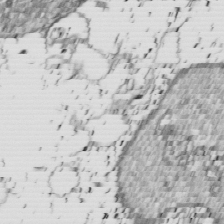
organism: Drosophila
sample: Cell division; meiosis; drosophila spermatocytes